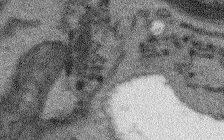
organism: Arabidopsis thaliana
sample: Root tip